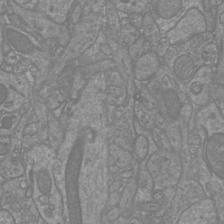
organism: Mouse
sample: Cortical neurons